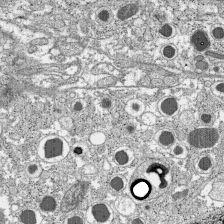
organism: C57BL Mouse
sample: Pancreatic islet